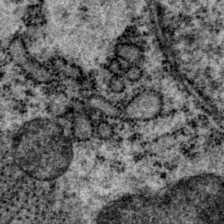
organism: P. pacificus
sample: Pharynx